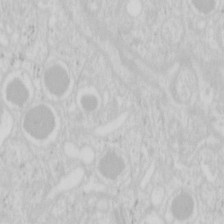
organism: Mouse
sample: Pancreas